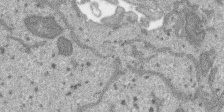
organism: Human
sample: Lung epithelial cells infected with SARS-CoV-2